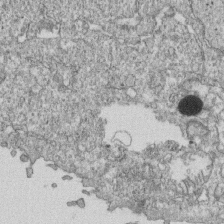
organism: Human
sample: HeLa cell HIV synapse